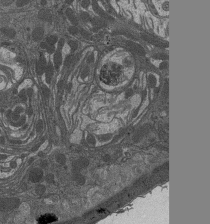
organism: Drosophila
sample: Antenna